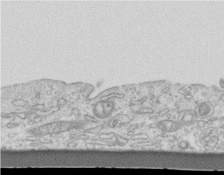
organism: Mouse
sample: Centriole in ependymal cells